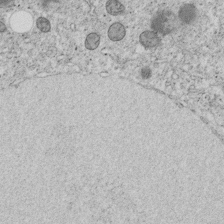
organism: C. elegans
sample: C. elegans embryo early stage